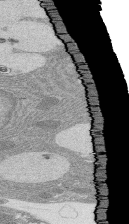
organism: Rat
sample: Salivary granule